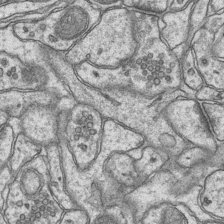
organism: Mouse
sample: CA1 Hippocampus